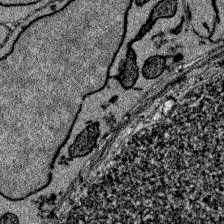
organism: Zebrafish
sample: Larval olfactory bulb